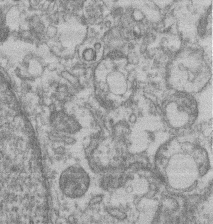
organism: Mouse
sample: T cell stromal cell synapse